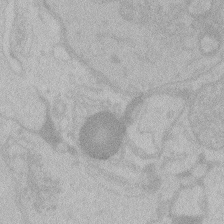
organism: Zebrafish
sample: Macrophage infected with Toxoplasma gondii